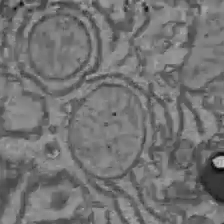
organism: C57BL Mouse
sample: Liver